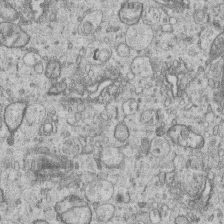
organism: Human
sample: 1205lu cells